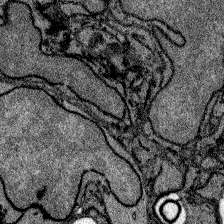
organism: Zebrafish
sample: Larval olfactory bulb